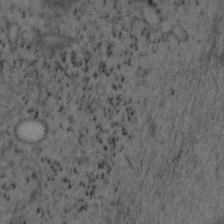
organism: Human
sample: HeLa cells